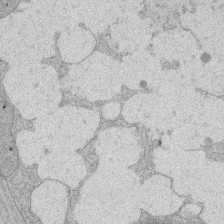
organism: Rat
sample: Salivary granule